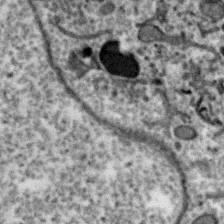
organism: Zebra finch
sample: Brain